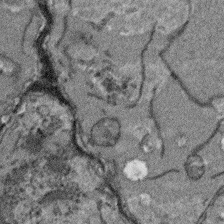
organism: Arabidopsis thaliana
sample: Root tip